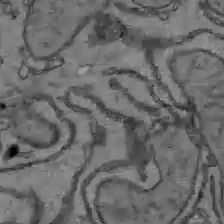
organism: C57BL Mouse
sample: Liver